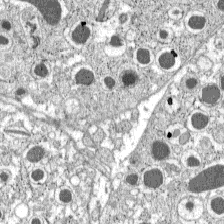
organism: C57BL Mouse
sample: Pancreatic islet